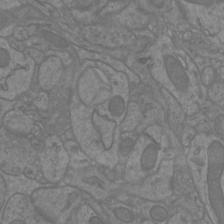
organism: Mouse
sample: Cortical neurons